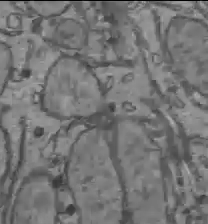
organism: C57BL Mouse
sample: Liver